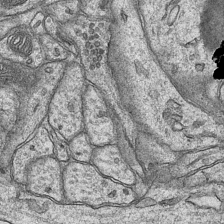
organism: Mouse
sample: CA1 Hippocampus